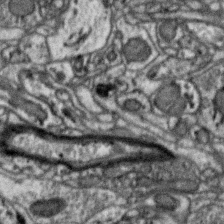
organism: Zebra finch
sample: Brain